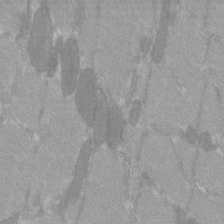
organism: C57BL Mouse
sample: Tibialis anterior muscle cell